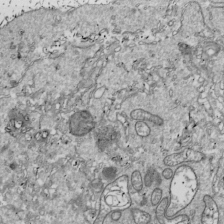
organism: Drosophila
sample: Cell division; meiosis; drosophila spermatocytes